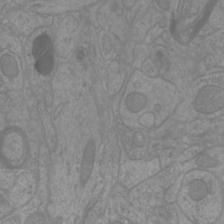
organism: Mouse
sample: Cortical neurons